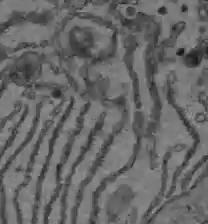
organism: C57BL Mouse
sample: Liver